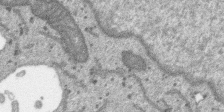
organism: Human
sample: Lung epithelial cells infected with SARS-CoV-2